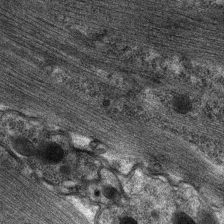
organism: C. elegans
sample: Pharynx